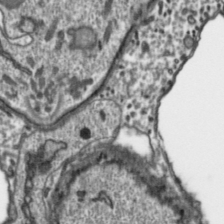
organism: Toxoplasma gondii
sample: Parasites in a vacuole inside a host cell